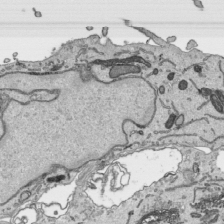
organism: Human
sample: Mitochondria in HCT116 cells